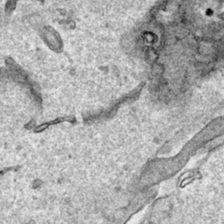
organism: Human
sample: Mitochondria in HCT116 cells